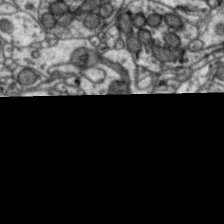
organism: Zebra finch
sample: Brain